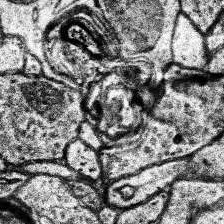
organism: Human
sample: Temporal Lobe